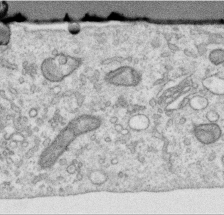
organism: Human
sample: Centriole in RPE cells